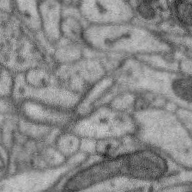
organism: Zebra finch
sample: Brain